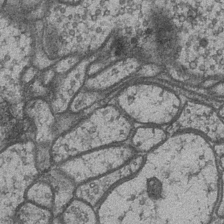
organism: Drosophila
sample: Optic medulla